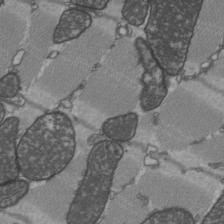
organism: C57BL Mouse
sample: Heart